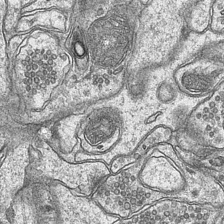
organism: Mouse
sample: CA1 Hippocampus